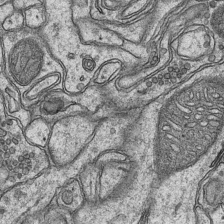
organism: Mouse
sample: CA1 Hippocampus